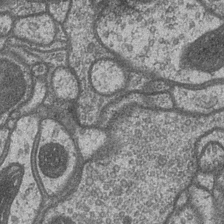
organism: Drosophila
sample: Optic medulla